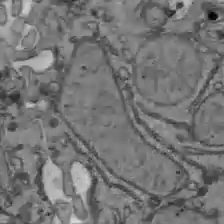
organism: C57BL Mouse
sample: Liver